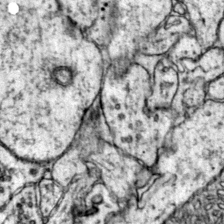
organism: Mouse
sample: Primary visual cortex